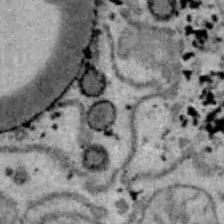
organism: Mouse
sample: Liver from an obese (ob/ob) mouse